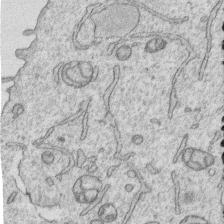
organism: Human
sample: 1205lu cells